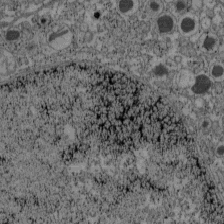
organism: C57BL Mouse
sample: Pancreatic islet